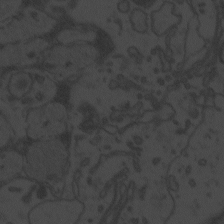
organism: Zebrafish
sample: Macrophage infected with Toxoplasma gondii